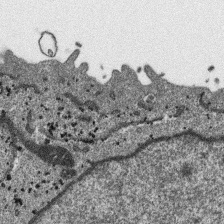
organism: Human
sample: Lung epithelial cells infected with SARS-CoV-2